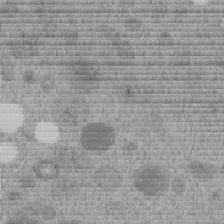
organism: C. elegans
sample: C. elegans embryo early stage